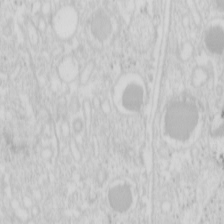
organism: Mouse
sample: Pancreas